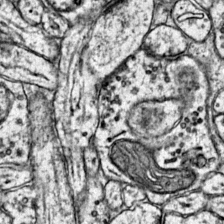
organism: Mouse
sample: Primary visual cortex